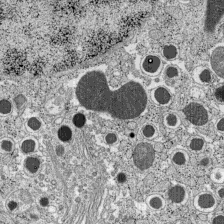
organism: C57BL Mouse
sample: Pancreatic islet